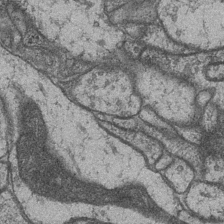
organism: Drosophila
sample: Optic medulla